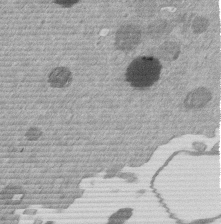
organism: Mouse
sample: Dividing mouse embryo 1 cell stage